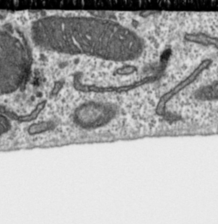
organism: Toxoplasma gondii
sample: Parasites in a vacuole inside a host cell